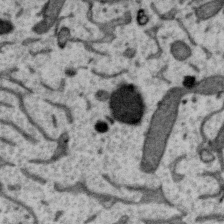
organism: Zebra finch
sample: Brain